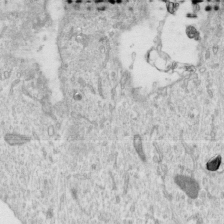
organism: Human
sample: Centriole in RPE cells